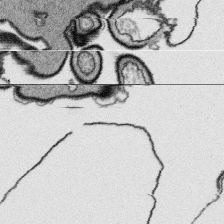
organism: Platynereis dumerilii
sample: Parapodia